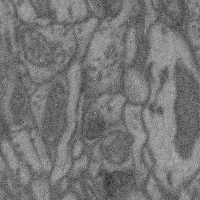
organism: Mouse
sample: Cerebral cortex